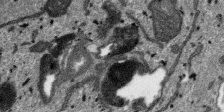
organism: Human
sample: Lung epithelial cells, uninfected (mock) control